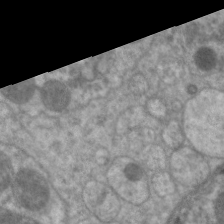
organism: C. elegans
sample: Pharynx